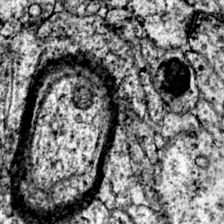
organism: Mouse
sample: Primary visual cortex